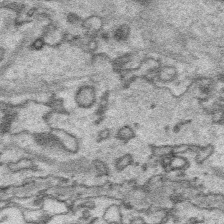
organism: Platynereis dumerilii